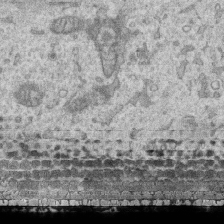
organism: Human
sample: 1205lu cells